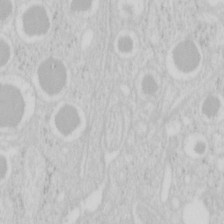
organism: Mouse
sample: Pancreas